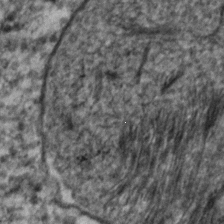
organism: C. elegans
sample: C. elegans embryo